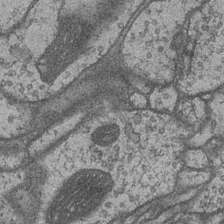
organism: Drosophila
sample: Optic medulla